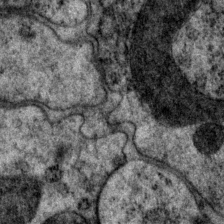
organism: P. pacificus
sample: Pharynx